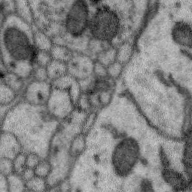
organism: Zebra finch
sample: Brain